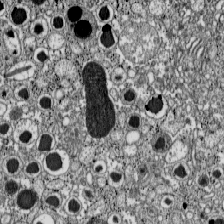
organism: C57BL Mouse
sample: Pancreatic islet